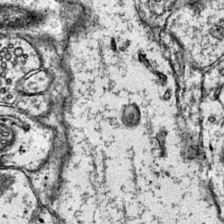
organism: Mouse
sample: Primary visual cortex